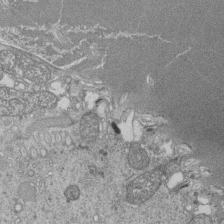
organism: Tetrahymena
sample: Cilia in tetrahymena